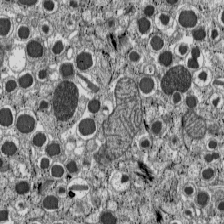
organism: C57BL Mouse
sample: Pancreatic islet